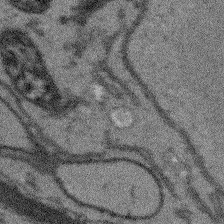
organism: Arabidopsis thaliana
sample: Root tip